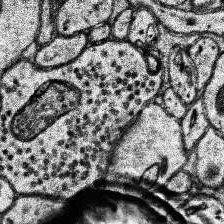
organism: Human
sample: Temporal Lobe